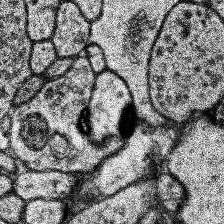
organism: Human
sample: Temporal Lobe